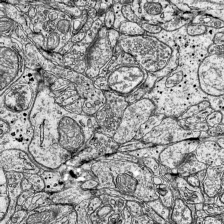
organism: Mouse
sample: Visual Cortex